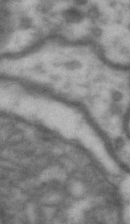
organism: Drosophila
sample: Brain